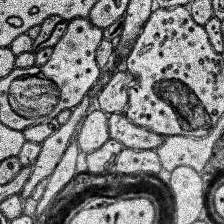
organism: Human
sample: Temporal Lobe